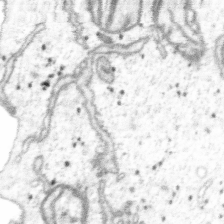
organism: Human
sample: HeLa cells